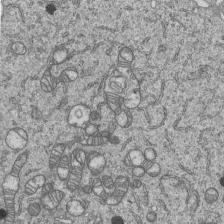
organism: Human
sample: MDA-MB-231 cells